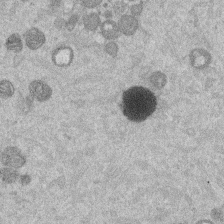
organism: Mouse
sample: Dividing mouse embryo 1 cell stage